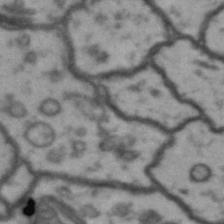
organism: Drosophila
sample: Brain